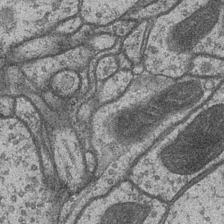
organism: Drosophila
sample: Optic medulla